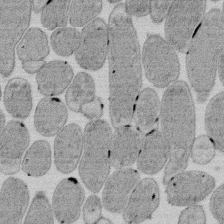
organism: E. coli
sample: Bacterial nucleoid